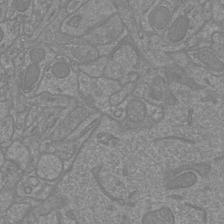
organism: Mouse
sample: Cortical neurons